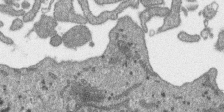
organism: Human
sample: Lung epithelial cells infected with SARS-CoV-2